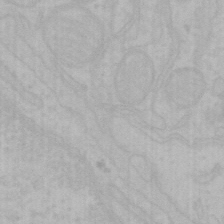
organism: Mouse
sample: Choroid plexus